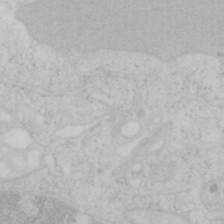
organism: Mouse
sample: OT-I killer T cells with ID8 ovarian cancer cells